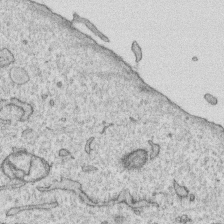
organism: Human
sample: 1205lu cells